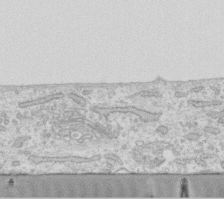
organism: Human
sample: Fibroblast cells